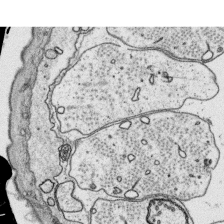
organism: Platynereis dumerilii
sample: Parapodia